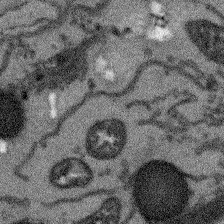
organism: Arabidopsis thaliana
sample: Root tip